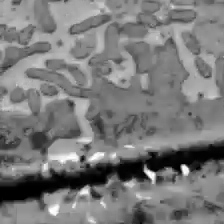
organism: C57BL Mouse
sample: Liver